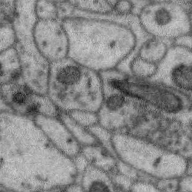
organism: Zebra finch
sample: Brain